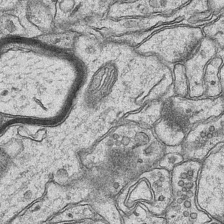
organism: Mouse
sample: CA1 Hippocampus